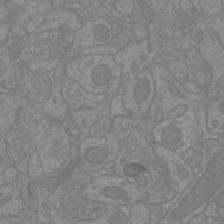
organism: Mouse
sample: Cortical neurons